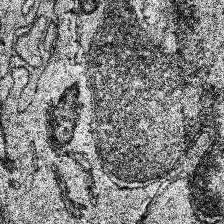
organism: Human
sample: Temporal Lobe